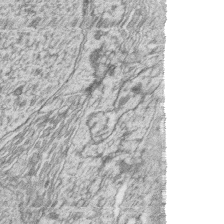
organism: Zebrafish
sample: synaptic ribbons in rod cells and cone cells